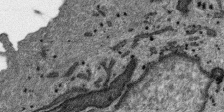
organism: Human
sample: Lung epithelial cells, uninfected (mock) control